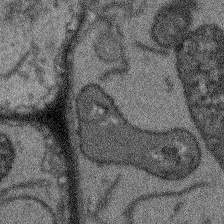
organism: Arabidopsis thaliana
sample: Root tip